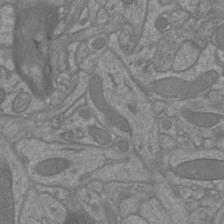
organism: Mouse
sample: Cortical neurons